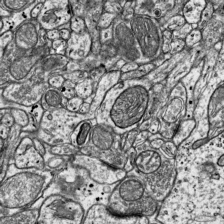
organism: Mouse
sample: Visual Cortex